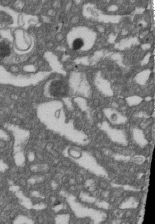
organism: Drosophila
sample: Nephrocyte